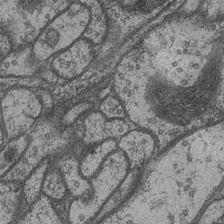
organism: Drosophila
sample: Optic medulla